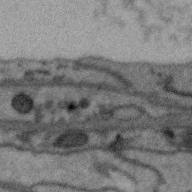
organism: Zebra finch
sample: Brain